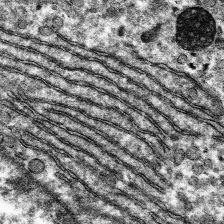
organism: Mouse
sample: Mouse hepatocytes